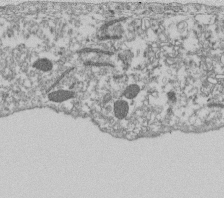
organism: Dictyostelium discoideum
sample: Dictyostelium multivesicular bodies